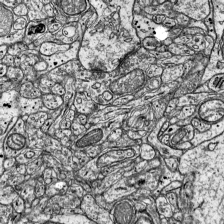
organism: Mouse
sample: Visual Cortex